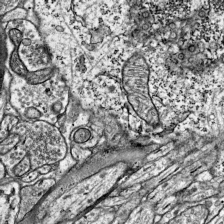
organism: Mouse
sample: Visual Cortex